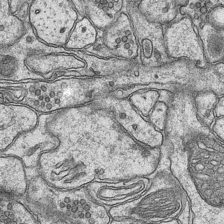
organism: Mouse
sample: CA1 Hippocampus